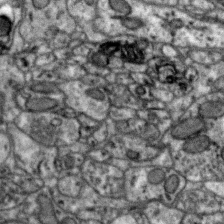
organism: Zebra finch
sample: Brain